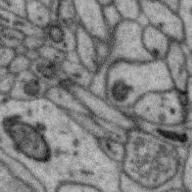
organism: Zebra finch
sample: Brain